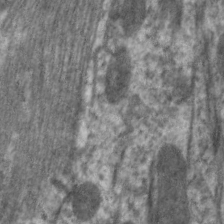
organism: C. elegans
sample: Pharynx